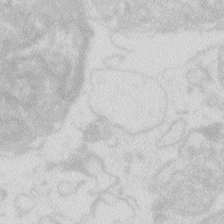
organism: Zebrafish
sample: Macrophage